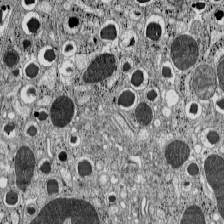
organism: C57BL Mouse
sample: Pancreatic islet